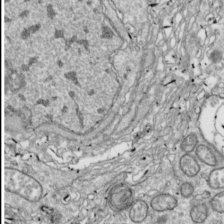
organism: Drosophila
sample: Cell division; meiosis; drosophila spermatocytes